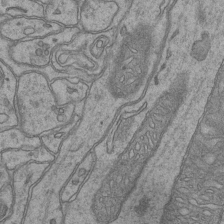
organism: Mouse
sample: CA1 Hippocampus